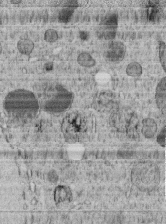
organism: C. elegans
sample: C. elegans embryo early stage